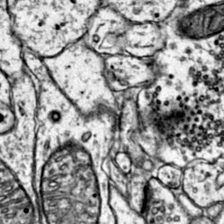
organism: Mouse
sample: Primary visual cortex